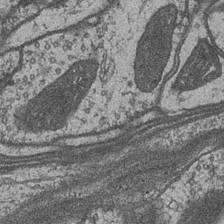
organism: Drosophila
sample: Optic medulla